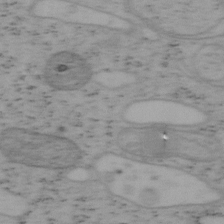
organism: Mouse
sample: OT-I killer T cells with ID8 ovarian cancer cells